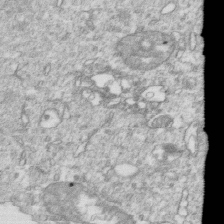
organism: Mouse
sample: Activated OT-1 CD8+ T cells